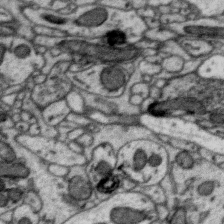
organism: Zebra finch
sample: Brain